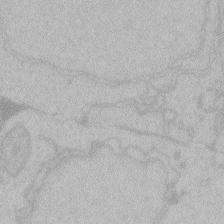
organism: Zebrafish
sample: Macrophage infected with Toxoplasma gondii